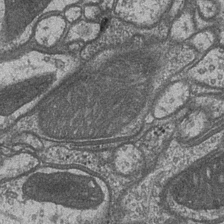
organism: Drosophila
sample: Optic medulla